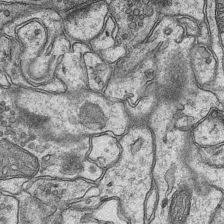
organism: Mouse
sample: CA1 Hippocampus